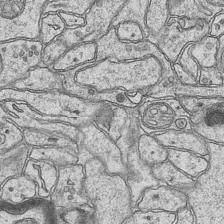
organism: Mouse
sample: CA1 Hippocampus